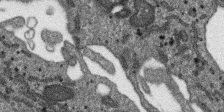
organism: Human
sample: Lung epithelial cells infected with SARS-CoV-2